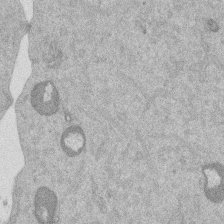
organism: Mouse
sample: Dividing mouse embryo 1 cell stage